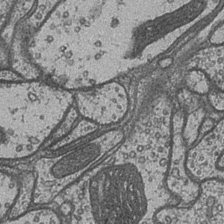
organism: Drosophila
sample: Optic medulla